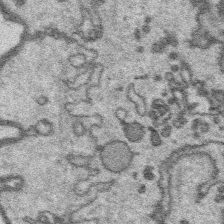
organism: Platynereis dumerilii